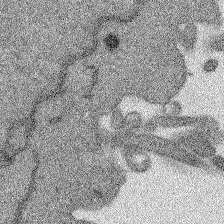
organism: Human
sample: HeLa cells